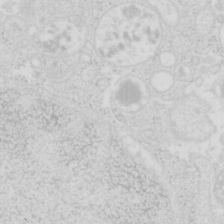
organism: Mouse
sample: Pancreas